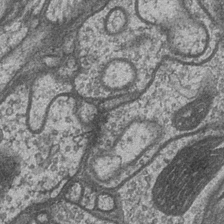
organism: Drosophila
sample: Optic medulla